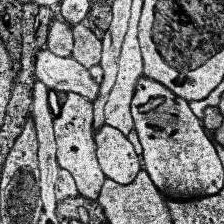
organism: Human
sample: Temporal Lobe